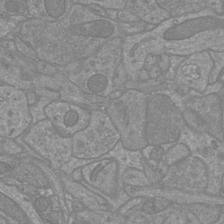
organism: Mouse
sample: Cortical neurons